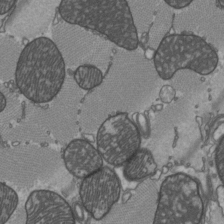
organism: C57BL Mouse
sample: Heart